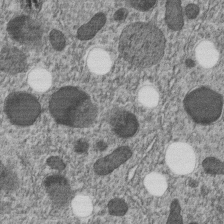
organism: C. elegans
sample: C. elegans embryo early stage